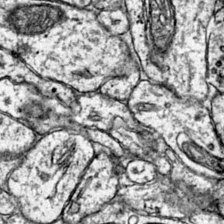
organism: Mouse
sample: Primary visual cortex